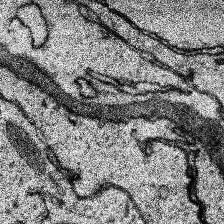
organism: Human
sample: Temporal Lobe